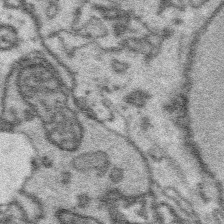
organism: Platynereis dumerilii